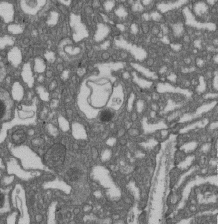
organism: Drosophila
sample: Nephrocyte